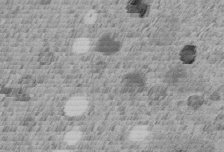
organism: C. elegans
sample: C. elegans embryo early stage